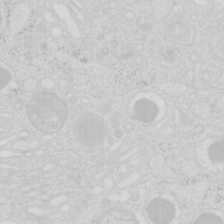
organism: Mouse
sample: Pancreas